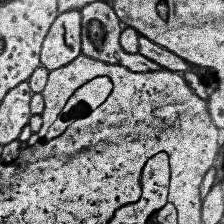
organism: Human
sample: Temporal Lobe